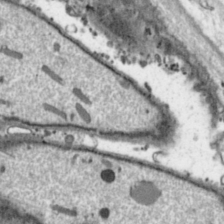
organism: Toxoplasma gondii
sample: Parasites in a vacuole inside a host cell